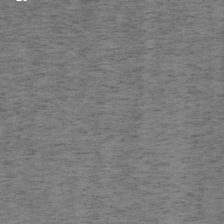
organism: Mouse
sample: OT-I killer T cells with ID8 ovarian cancer cells